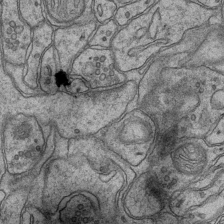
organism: Mouse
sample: CA1 Hippocampus